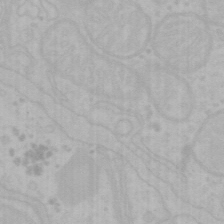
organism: Mouse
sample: Choroid plexus